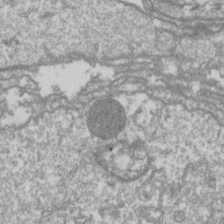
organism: Drosophila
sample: Cell division; meiosis; drosophila spermatocytes